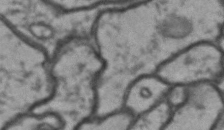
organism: Drosophila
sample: Brain